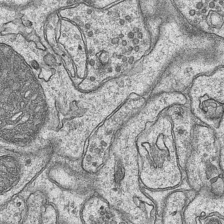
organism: Mouse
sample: CA1 Hippocampus